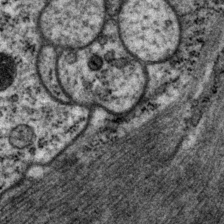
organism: P. pacificus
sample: Pharynx